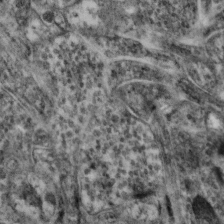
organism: Mouse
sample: Neocortex